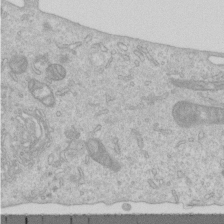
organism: Human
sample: Centriole in RPE cells